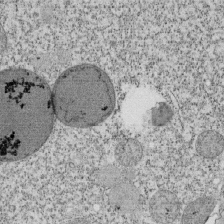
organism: Tetrahymena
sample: Cilia in tetrahymena